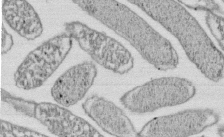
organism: E. coli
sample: Bacterial nucleoid